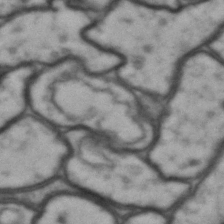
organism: Drosophila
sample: Brain